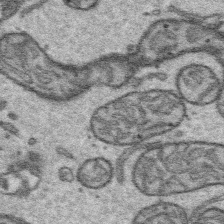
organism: Platynereis dumerilii